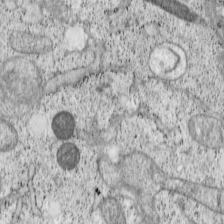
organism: African green monkey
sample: COS-7 cells